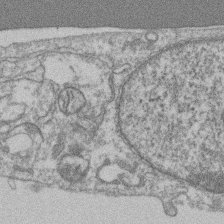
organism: Mouse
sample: T cell stromal cell synapse